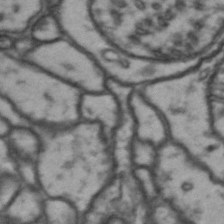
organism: Drosophila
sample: Brain